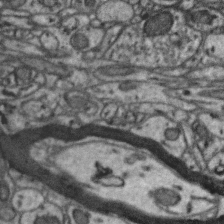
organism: Zebra finch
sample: Brain